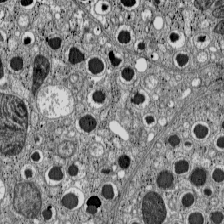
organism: C57BL Mouse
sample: Pancreatic islet